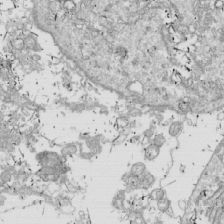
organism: Drosophila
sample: Cell division; meiosis; drosophila spermatocytes